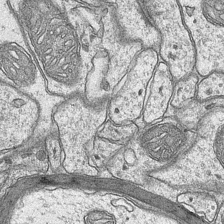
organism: Mouse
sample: CA1 Hippocampus